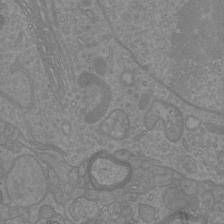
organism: Mouse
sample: Cortical neurons